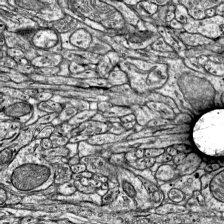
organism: Mouse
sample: Visual Cortex